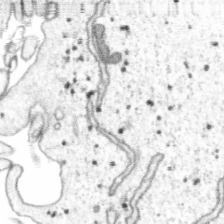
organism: Human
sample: HeLa cells